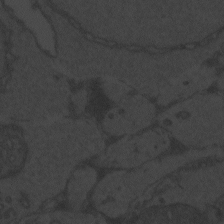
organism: Zebrafish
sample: Macrophage infected with Toxoplasma gondii